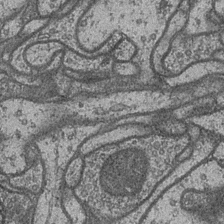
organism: Drosophila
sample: Optic medulla